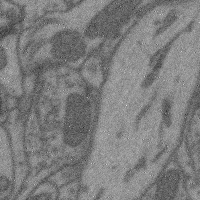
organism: Mouse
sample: Cerebral cortex